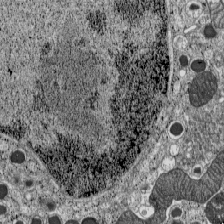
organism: C57BL Mouse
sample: Pancreatic islet